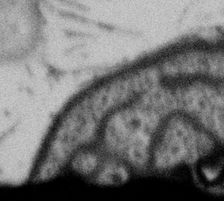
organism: Gemmata obscuriglobus